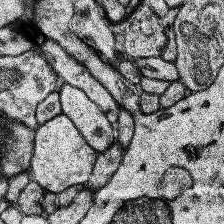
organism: Human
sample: Temporal Lobe